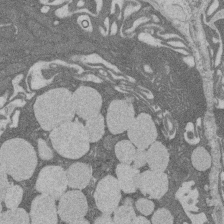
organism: Rat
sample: Salivary granule